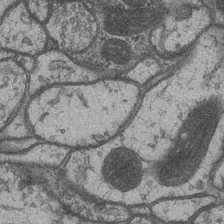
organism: Drosophila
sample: Optic medulla